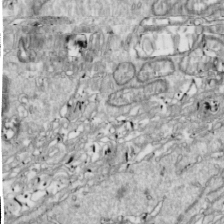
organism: Drosophila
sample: Cell division; meiosis; drosophila spermatocytes